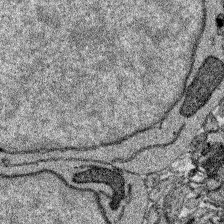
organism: Zebrafish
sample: Larval olfactory bulb